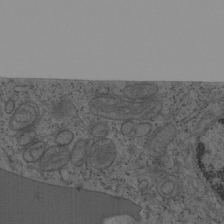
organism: Human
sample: HeLa cells